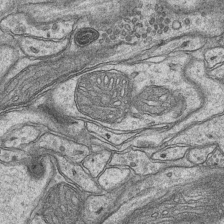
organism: Mouse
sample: CA1 Hippocampus